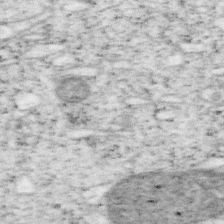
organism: Mouse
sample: OT-I killer T cells with ID8 ovarian cancer cells